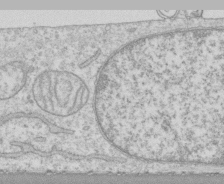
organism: Human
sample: CRL-1474